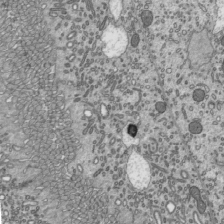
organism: Mouse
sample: Mouse epididymis efferent ductule cilia